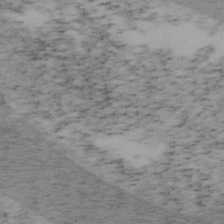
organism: Mouse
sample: OT-I killer T cells with ID8 ovarian cancer cells